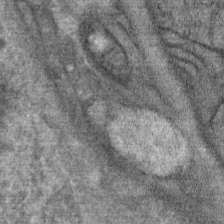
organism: Mouse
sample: Mouse Salivary gland